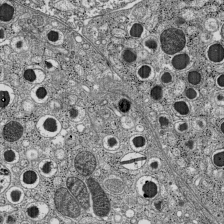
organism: C57BL Mouse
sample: Pancreatic islet